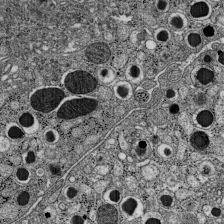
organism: C57BL Mouse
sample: Pancreatic islet